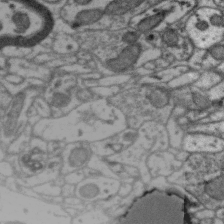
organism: Zebra finch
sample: Brain